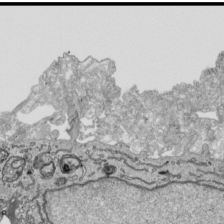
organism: Human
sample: Mitochondria in HCT116 cells